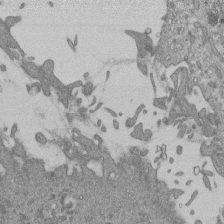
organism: Mouse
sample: ED-1 cell nuclei; centrioles